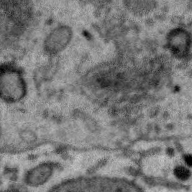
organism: Zebra finch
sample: Brain